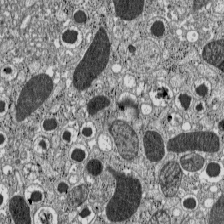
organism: C57BL Mouse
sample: Pancreatic islet